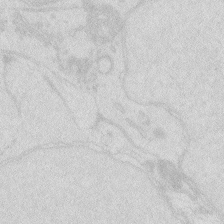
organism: Zebrafish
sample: Macrophage